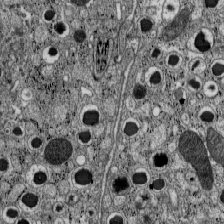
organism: C57BL Mouse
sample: Pancreatic islet